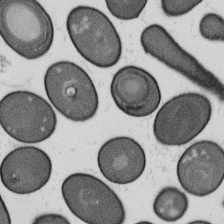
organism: B. subtilis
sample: Bacterial spore